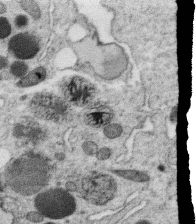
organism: C. elegans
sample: C. elegans oocyte; sperm cells